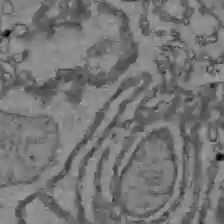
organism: C57BL Mouse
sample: Liver